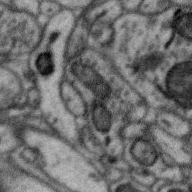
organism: Zebra finch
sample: Brain